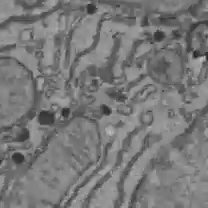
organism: C57BL Mouse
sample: Liver